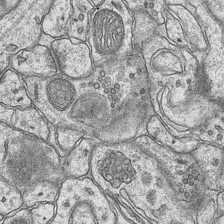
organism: Mouse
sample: CA1 Hippocampus